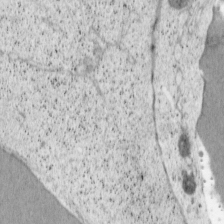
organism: African green monkey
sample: COS-7 cells